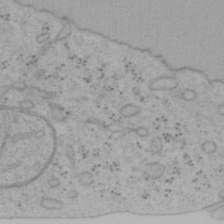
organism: Human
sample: HeLa cells